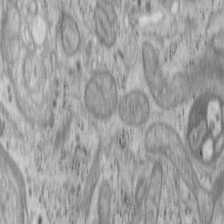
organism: Human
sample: HeLa cells